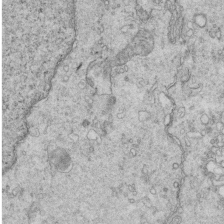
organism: Mouse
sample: Multiciliated cells